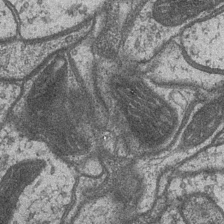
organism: Drosophila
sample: Optic medulla